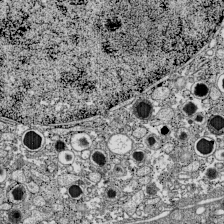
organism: C57BL Mouse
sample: Pancreatic islet